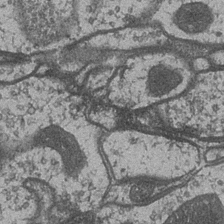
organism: Drosophila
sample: Optic medulla